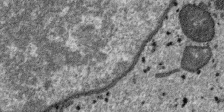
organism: Human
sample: Lung epithelial cells, uninfected (mock) control